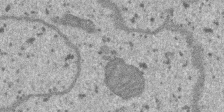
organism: Human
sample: Lung epithelial cells infected with SARS-CoV-2